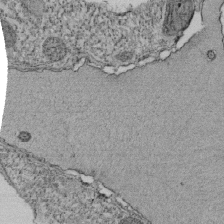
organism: Tetrahymena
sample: Cilia in tetrahymena